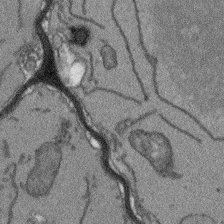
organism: Arabidopsis thaliana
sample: Root tip